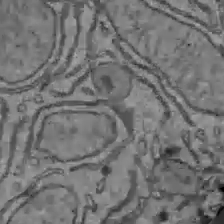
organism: C57BL Mouse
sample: Liver